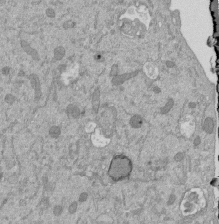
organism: Mouse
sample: ED-1 cell nuclei; centrioles